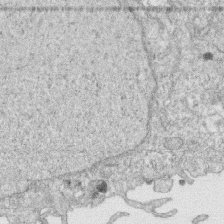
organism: Human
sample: HeLa cell HIV synapse